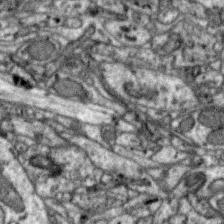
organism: Zebra finch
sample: Brain